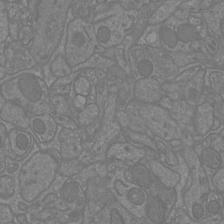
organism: Mouse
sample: Cortical neurons